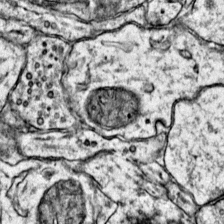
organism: Mouse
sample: Primary visual cortex